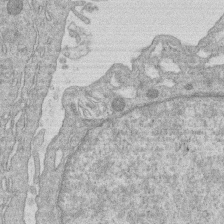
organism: Human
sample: Macrophage cells